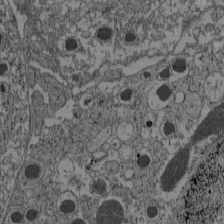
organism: C57BL Mouse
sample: Pancreatic islet